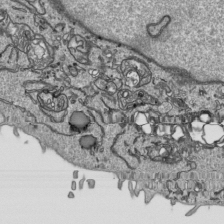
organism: Human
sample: Mitochondria in HCT116 cells